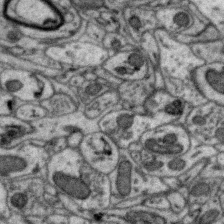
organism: Zebra finch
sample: Brain